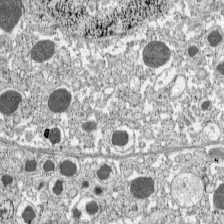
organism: C57BL Mouse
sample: Pancreatic islet